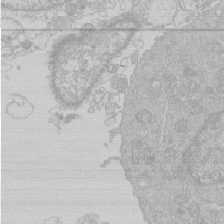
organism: Human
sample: Macrophage cells